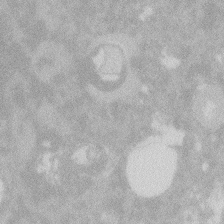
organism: Zebrafish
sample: Macrophage